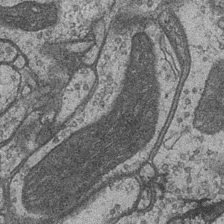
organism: Drosophila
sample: Optic medulla